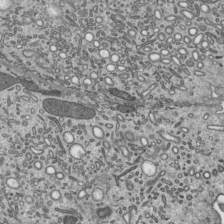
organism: Mouse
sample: Mouse epididymis efferent ductule cilia